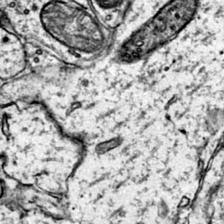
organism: Mouse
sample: Primary visual cortex